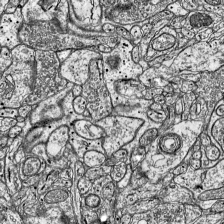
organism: Mouse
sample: Visual Cortex